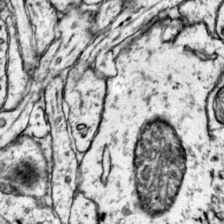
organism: Mouse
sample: Primary visual cortex